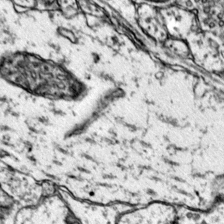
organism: Mouse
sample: Primary visual cortex